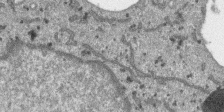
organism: Human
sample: Lung epithelial cells infected with SARS-CoV-2